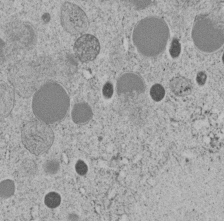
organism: C. elegans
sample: C. elegans embryo early stage